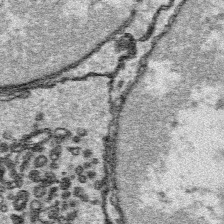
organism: Platynereis dumerilii